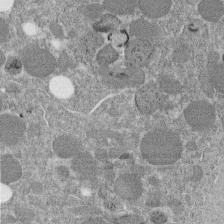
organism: C. elegans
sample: C. elegans embryo early stage